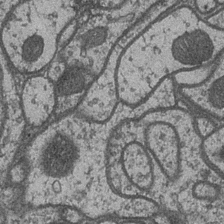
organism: Drosophila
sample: Optic medulla